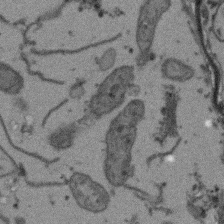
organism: Arabidopsis thaliana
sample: Root tip